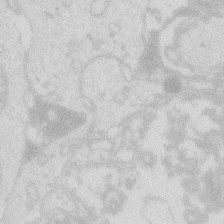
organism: Zebrafish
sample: Macrophage